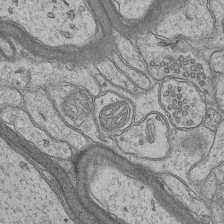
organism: Mouse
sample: CA1 Hippocampus